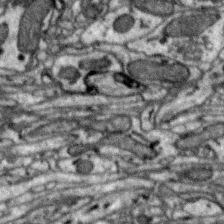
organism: Zebra finch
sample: Brain